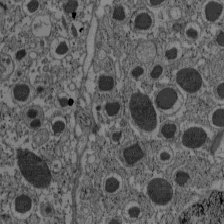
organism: C57BL Mouse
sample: Pancreatic islet